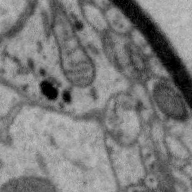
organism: Zebra finch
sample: Brain